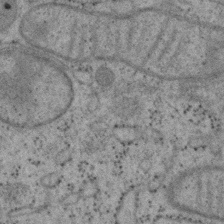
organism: Human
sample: HeLa cells